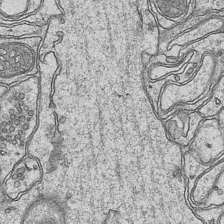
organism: Mouse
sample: CA1 Hippocampus